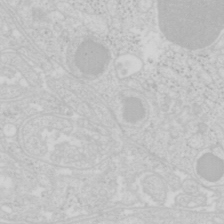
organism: Mouse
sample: Pancreas